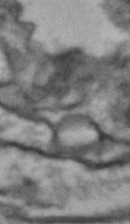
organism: Drosophila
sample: Brain